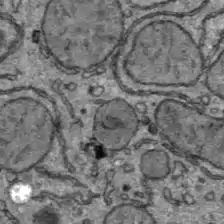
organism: C57BL Mouse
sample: Liver